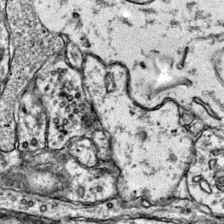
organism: Mouse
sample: Primary visual cortex